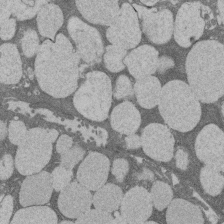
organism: Rat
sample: Salivary granule